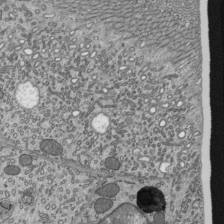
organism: Mouse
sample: Mouse epididymis efferent ductule cilia